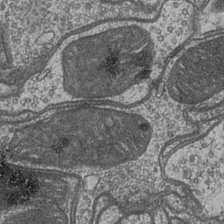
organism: Drosophila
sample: Optic medulla